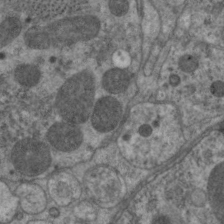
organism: C. elegans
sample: Pharynx